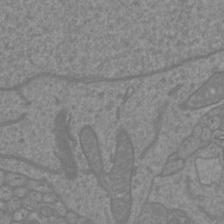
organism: Mouse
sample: Cortical neurons